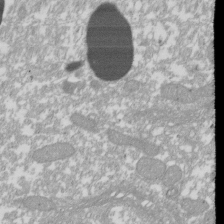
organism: Xenopus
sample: Cilia; centrioles in frog embryo cells